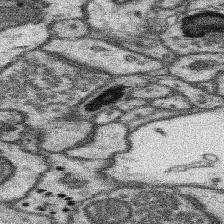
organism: Mouse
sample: Somatosensory cortex neuropil